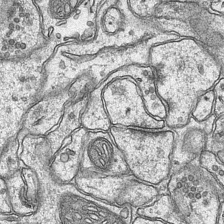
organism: Mouse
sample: CA1 Hippocampus